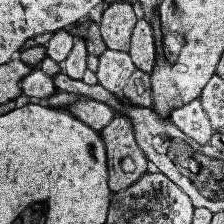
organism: Human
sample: Temporal Lobe